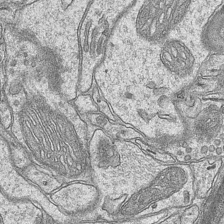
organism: Mouse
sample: CA1 Hippocampus